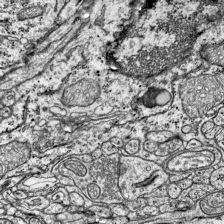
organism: Mouse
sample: Visual Cortex